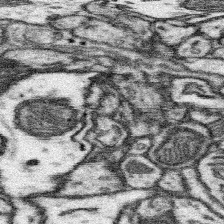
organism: Mouse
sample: Somatosensory cortex neuropil